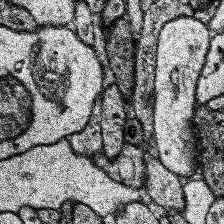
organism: Human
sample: Temporal Lobe